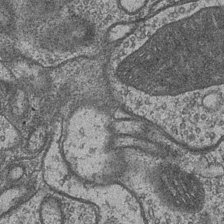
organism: Drosophila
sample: Optic medulla